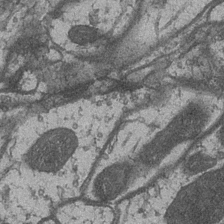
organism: Drosophila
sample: Optic medulla